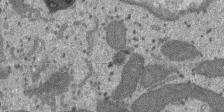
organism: Human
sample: Lung epithelial cells infected with SARS-CoV-2